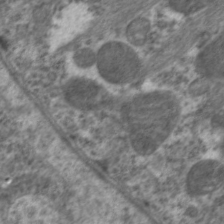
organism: C. elegans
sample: Pharynx